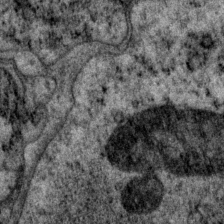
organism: P. pacificus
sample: Pharynx